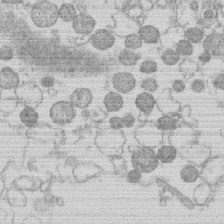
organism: Human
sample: Macrophage cells